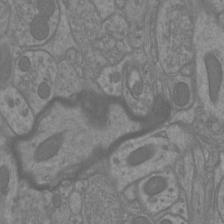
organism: Mouse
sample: Cortical neurons